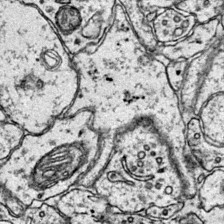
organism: Mouse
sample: Primary visual cortex